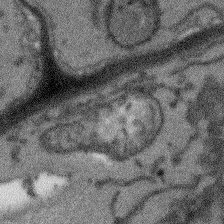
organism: Arabidopsis thaliana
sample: Root tip